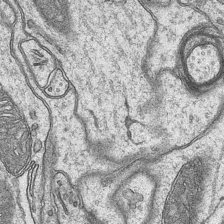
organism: Mouse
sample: CA1 Hippocampus